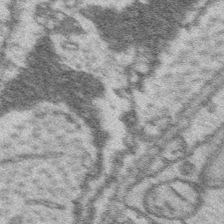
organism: Platynereis dumerilii